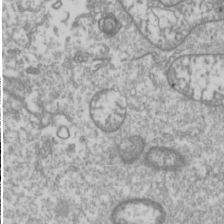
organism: Drosophila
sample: Cell division; meiosis; drosophila spermatocytes